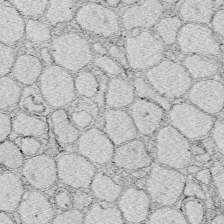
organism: Zebrafish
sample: Whole-Brain